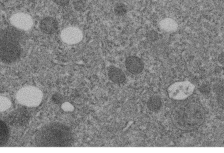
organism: C. elegans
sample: C. elegans embryo early stage